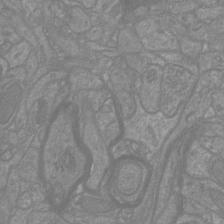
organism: Mouse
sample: Cortical neurons